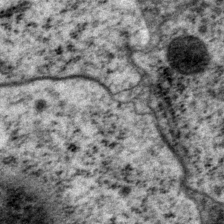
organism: P. pacificus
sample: Pharynx